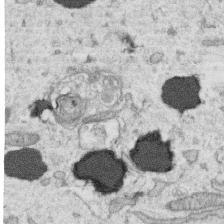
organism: Human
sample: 1205lu cells